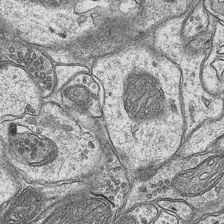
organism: Mouse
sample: CA1 Hippocampus